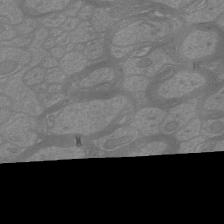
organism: Mouse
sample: Cortical neurons